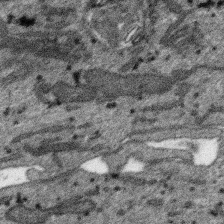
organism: Human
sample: Lung epithelial cells infected with SARS-CoV-2